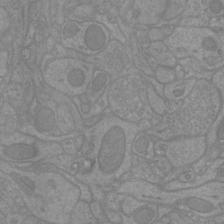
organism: Mouse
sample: Cortical neurons